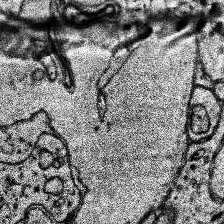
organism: Human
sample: Temporal Lobe